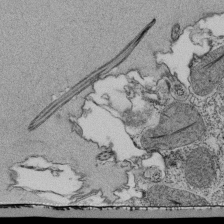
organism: Tetrahymena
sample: Cilia in tetrahymena